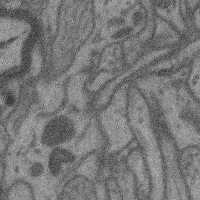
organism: Mouse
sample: Cerebral cortex